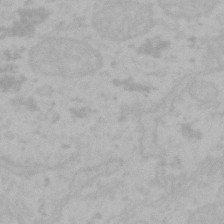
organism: Mouse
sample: Choroid plexus